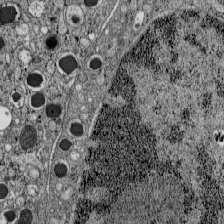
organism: C57BL Mouse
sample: Pancreatic islet